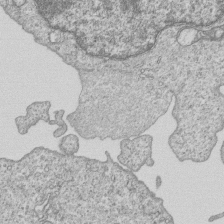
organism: Human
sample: MDA-MB-231 cells